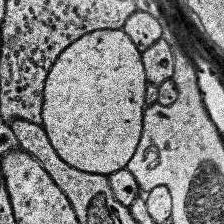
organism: Human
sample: Temporal Lobe